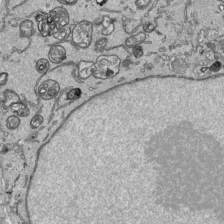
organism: Human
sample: Mitochondria in HCT116 cells